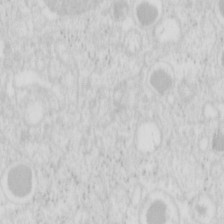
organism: Mouse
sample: Pancreas